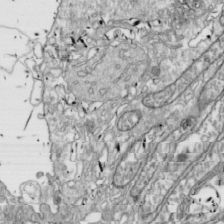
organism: Drosophila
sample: Cell division; meiosis; drosophila spermatocytes